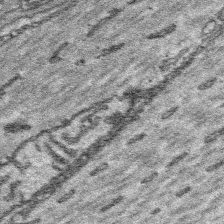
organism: Platynereis dumerilii